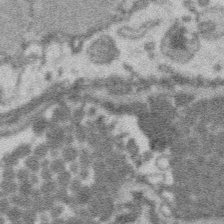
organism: Platynereis dumerilii